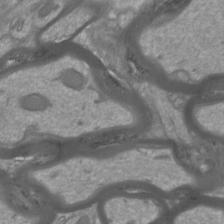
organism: Mouse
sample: Cortical neurons